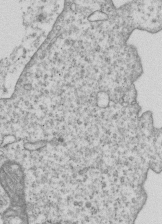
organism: Human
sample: MDA-MB-231 cells